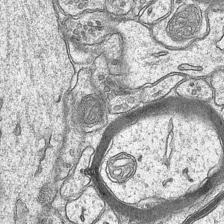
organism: Mouse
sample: CA1 Hippocampus